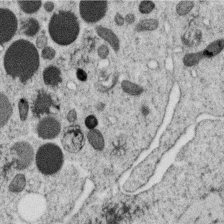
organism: C. elegans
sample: C. elegans oocyte; sperm cells